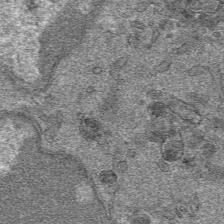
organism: Mouse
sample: Mouse hepatocytes